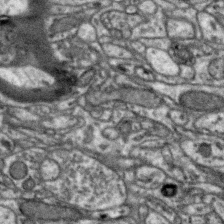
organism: Zebra finch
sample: Brain